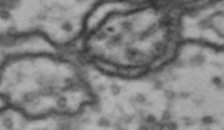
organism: Drosophila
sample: Brain